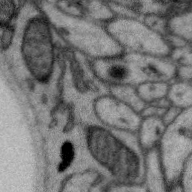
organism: Zebra finch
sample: Brain